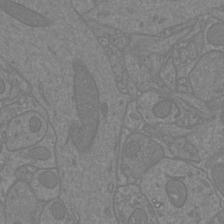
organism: Mouse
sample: Cortical neurons